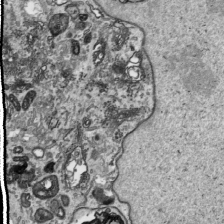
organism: Human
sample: Mitochondria in HCT116 cells